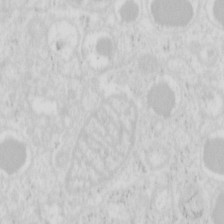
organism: Mouse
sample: Pancreas